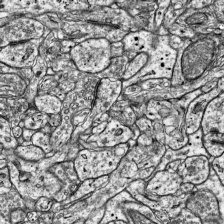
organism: Mouse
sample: Visual Cortex